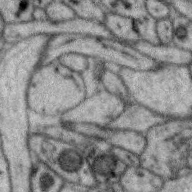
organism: Zebra finch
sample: Brain